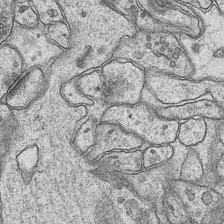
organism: Mouse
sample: CA1 Hippocampus